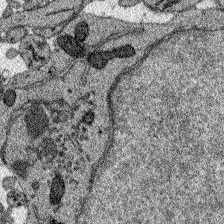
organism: Zebrafish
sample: Larval olfactory bulb